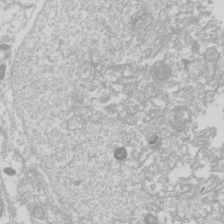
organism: Drosophila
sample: Cell division; meiosis; drosophila spermatocytes